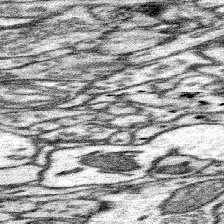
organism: Mouse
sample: Somatosensory cortex neuropil